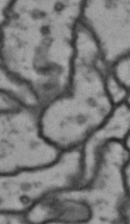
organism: Drosophila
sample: Brain